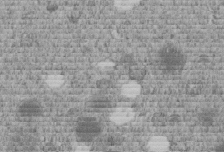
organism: C. elegans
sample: C. elegans embryo early stage